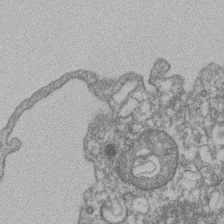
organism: Mouse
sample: T cell stromal cell synapse